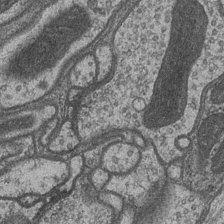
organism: Drosophila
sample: Optic medulla